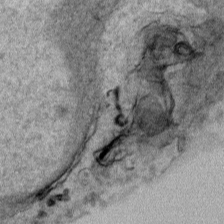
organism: Human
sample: Mitochondria in HCT116 cells